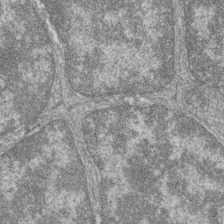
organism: Zebrafish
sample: Cilia; retinal pigment epithelium